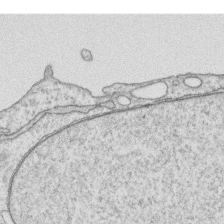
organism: Human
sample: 1205lu cells